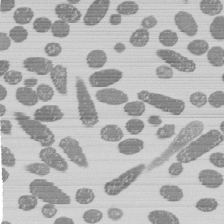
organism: E. coli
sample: Bacterial nucleoid